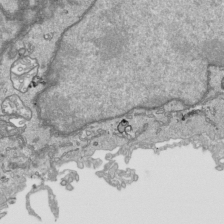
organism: Human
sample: Mitochondria in HCT116 cells